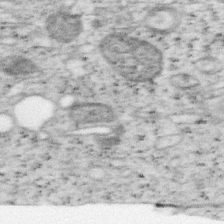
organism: Mouse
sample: OT-I killer T cells with ID8 ovarian cancer cells